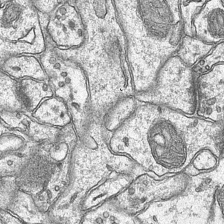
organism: Mouse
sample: CA1 Hippocampus